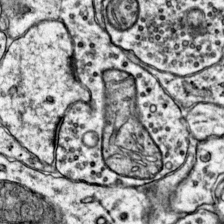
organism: Mouse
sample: Primary visual cortex